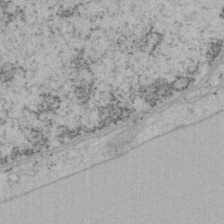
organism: Human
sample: HeLa cells